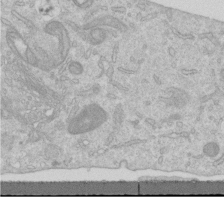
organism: Human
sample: Centriole in RPE cells